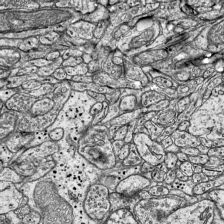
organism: Mouse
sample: Visual Cortex